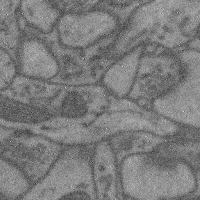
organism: Mouse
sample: Cerebral cortex